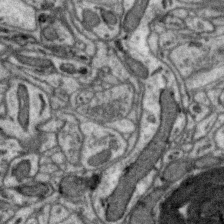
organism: Zebra finch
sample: Brain